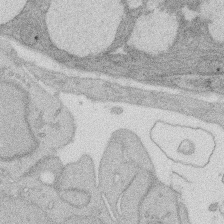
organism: Rat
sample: Salivary granule